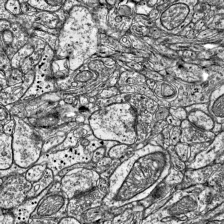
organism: Mouse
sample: Visual Cortex